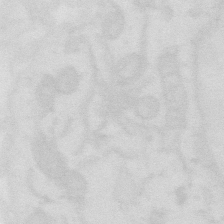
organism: Human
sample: HeLa cells